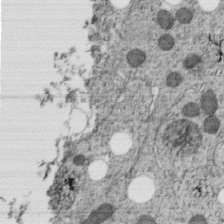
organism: C. elegans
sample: C. elegans embryo early stage